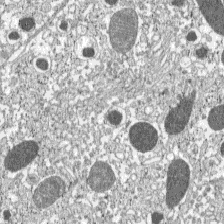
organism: C57BL Mouse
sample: Pancreatic islet